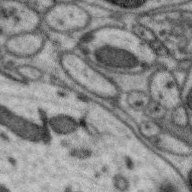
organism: Zebra finch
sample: Brain